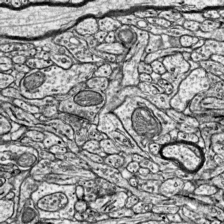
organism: Mouse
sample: Visual Cortex